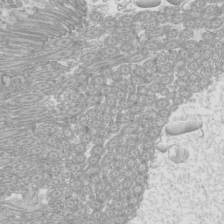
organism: Mouse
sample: Cilia; mouse epididymis